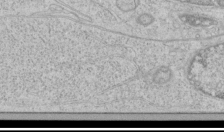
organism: Human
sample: Mitochondria in HCT116 cells